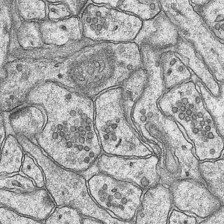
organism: Mouse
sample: CA1 Hippocampus